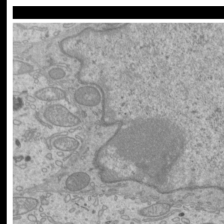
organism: Mouse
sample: Cilia; mouse epididymis